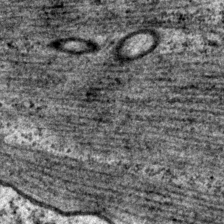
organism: P. pacificus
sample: Pharynx